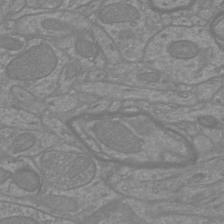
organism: Mouse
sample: Cortical neurons